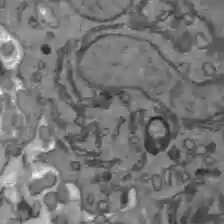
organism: C57BL Mouse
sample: Liver